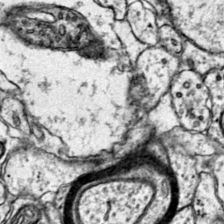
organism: Mouse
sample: Primary visual cortex